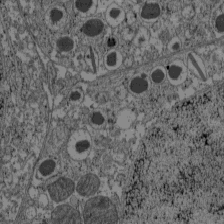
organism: C57BL Mouse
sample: Pancreatic islet